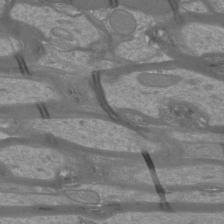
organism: Mouse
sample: Cortical neurons